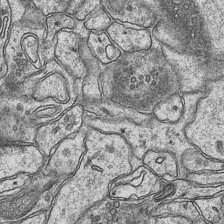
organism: Mouse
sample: CA1 Hippocampus